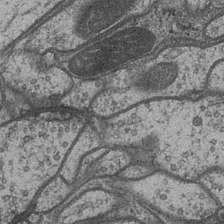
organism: Drosophila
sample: Optic medulla